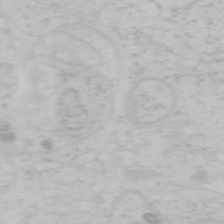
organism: Mouse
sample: OT-I killer T cells with ID8 ovarian cancer cells